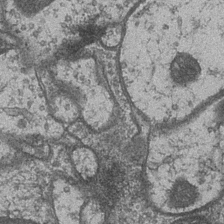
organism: Drosophila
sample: Optic medulla